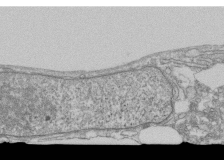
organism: Human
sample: Fibroblast cells